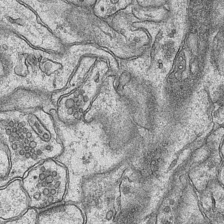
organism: Mouse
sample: CA1 Hippocampus